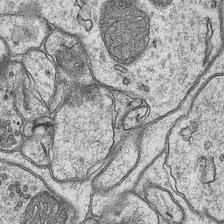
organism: Mouse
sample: CA1 Hippocampus